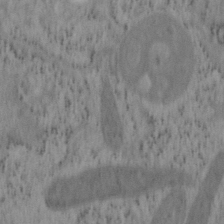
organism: Mouse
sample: OT-I killer T cells with ID8 ovarian cancer cells